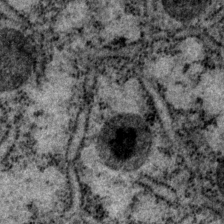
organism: P. pacificus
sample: Pharynx